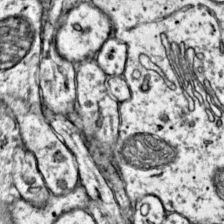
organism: Mouse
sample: Primary visual cortex